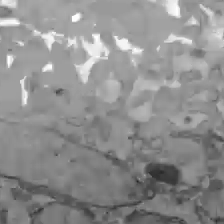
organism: C57BL Mouse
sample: Liver